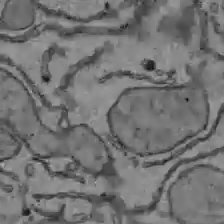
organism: C57BL Mouse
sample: Liver